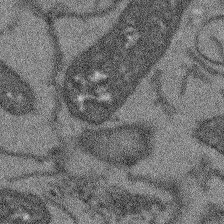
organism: Arabidopsis thaliana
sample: Root tip